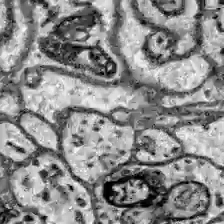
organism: Zebrafish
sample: Brain